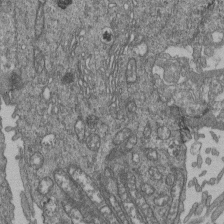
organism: Human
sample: Retinal organoid Rod and Cone cells